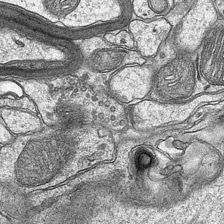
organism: Mouse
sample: CA1 Hippocampus